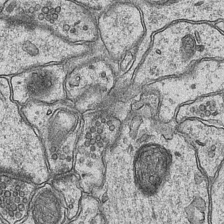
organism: Mouse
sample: CA1 Hippocampus